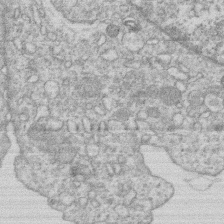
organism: Human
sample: Macrophage cells